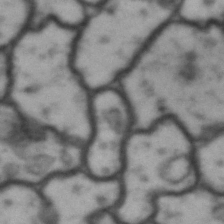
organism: Drosophila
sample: Brain